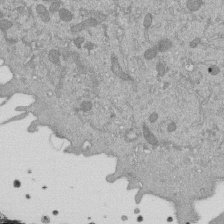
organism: Mouse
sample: ED-1 cell nuclei; centrioles